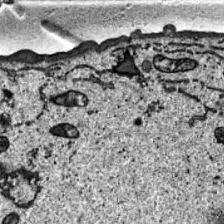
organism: Human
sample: HeLa cells